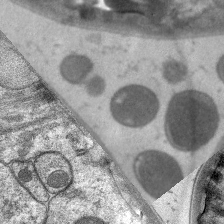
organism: C. elegans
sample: Pharynx